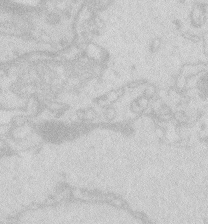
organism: Zebrafish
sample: Macrophage